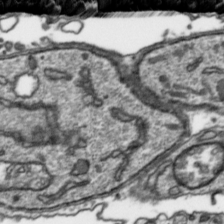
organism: Toxoplasma gondii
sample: Parasites in a vacuole inside a host cell